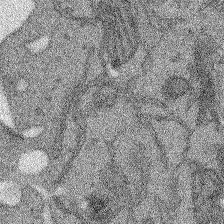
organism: Human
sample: HeLa cells